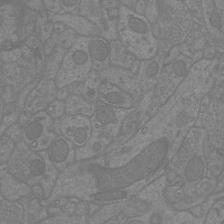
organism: Mouse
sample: Cortical neurons